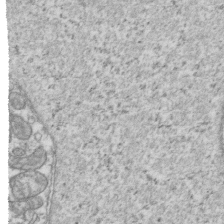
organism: Human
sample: Activated Jurkat CD4+ T cells